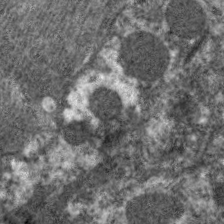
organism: C. elegans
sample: Pharynx